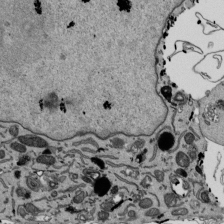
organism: Mouse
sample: ED-1 cell nuclei; centrioles